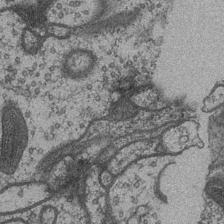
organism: Drosophila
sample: Optic medulla